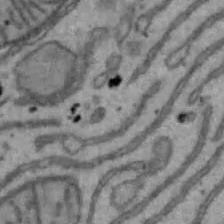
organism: Mouse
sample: Liver